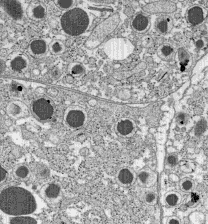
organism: C57BL Mouse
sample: Pancreatic islet